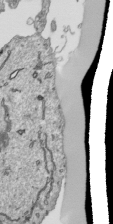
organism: Human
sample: Mitochondria in HCT116 cells